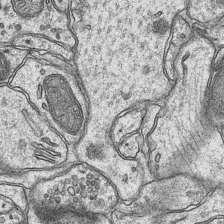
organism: Mouse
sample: CA1 Hippocampus